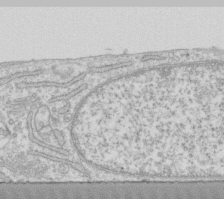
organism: Human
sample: Fibroblast cells